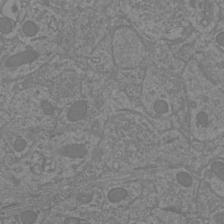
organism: Mouse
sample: Cortical neurons